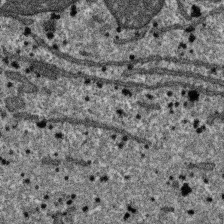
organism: Human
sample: Lung epithelial cells infected with SARS-CoV-2